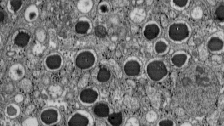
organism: C57BL Mouse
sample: Pancreatic islet